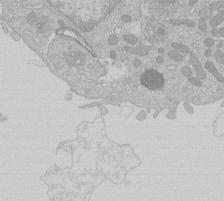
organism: Human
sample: Macrophage cells